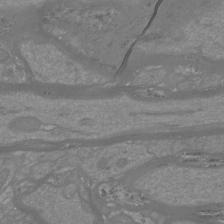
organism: Mouse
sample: Cortical neurons